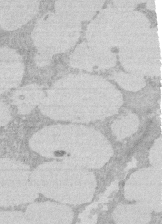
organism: Rat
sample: Salivary granule